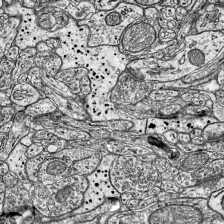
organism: Mouse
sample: Visual Cortex